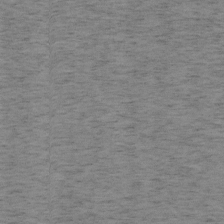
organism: Mouse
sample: OT-I killer T cells with ID8 ovarian cancer cells